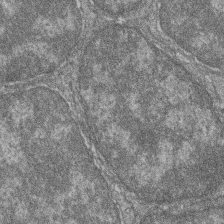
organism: Zebrafish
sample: Cilia; retinal pigment epithelium